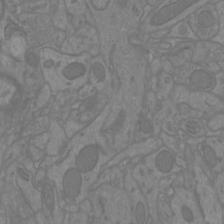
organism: Mouse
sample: Cortical neurons